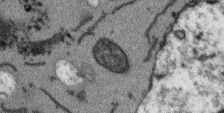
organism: Arabidopsis thaliana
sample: Root tip